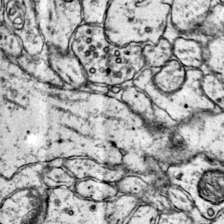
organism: Mouse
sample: Primary visual cortex